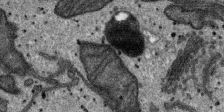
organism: Human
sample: Lung epithelial cells, uninfected (mock) control